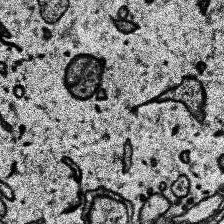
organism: Human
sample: Temporal Lobe